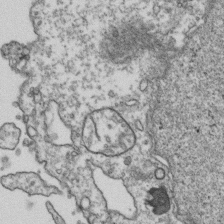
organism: Human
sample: Activated Jurkat CD4+ T cells